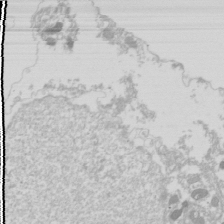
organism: Drosophila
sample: Cell division; meiosis; drosophila spermatocytes